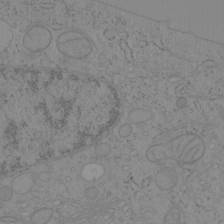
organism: Human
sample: HeLa cells